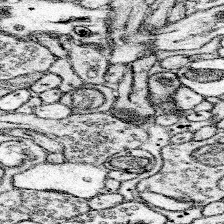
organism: Mouse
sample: Somatosensory cortex neuropil